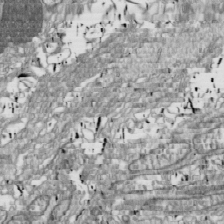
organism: Drosophila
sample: Cell division; meiosis; drosophila spermatocytes